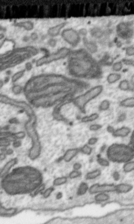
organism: Toxoplasma gondii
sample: Parasites in a vacuole inside a host cell